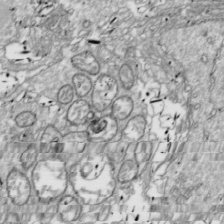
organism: Drosophila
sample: Cell division; meiosis; drosophila spermatocytes